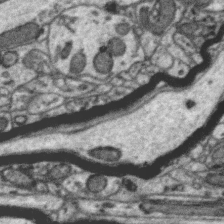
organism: Zebra finch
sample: Brain